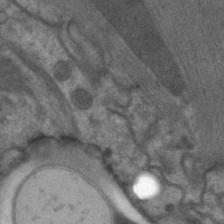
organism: C. elegans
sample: Pharynx